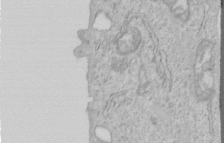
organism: Human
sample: Centriole in RPE cells